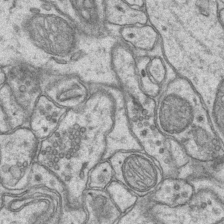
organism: Mouse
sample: CA1 Hippocampus